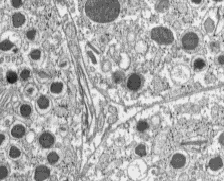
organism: C57BL Mouse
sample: Pancreatic islet